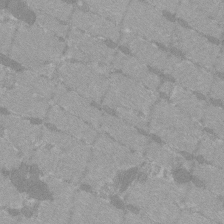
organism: C57BL Mouse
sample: Tibialis anterior muscle cell